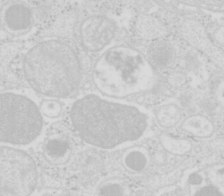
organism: Mouse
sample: Pancreas